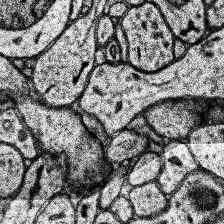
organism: Human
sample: Temporal Lobe